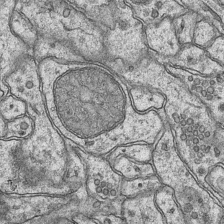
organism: Mouse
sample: CA1 Hippocampus